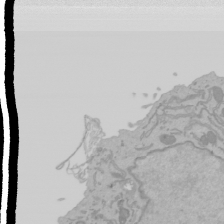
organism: Mouse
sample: Cancer cell death in ED-1 cells